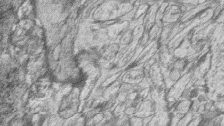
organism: Zebrafish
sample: synaptic ribbons in rod cells and cone cells